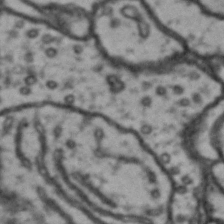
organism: Drosophila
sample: Brain